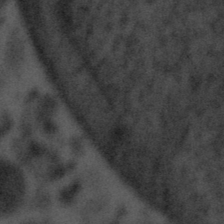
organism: Tuwongella immobilis